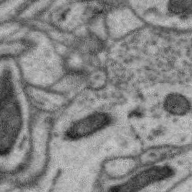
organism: Zebra finch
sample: Brain